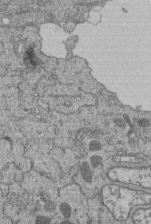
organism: Human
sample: Retinal organoid Rod and Cone cells